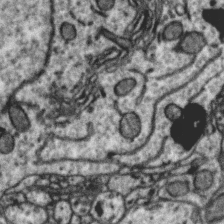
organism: Zebra finch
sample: Brain